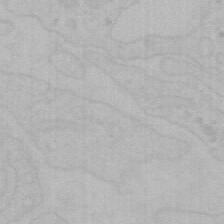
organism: Mouse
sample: Choroid plexus